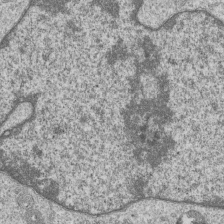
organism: Human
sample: MDA-MB-231 cells